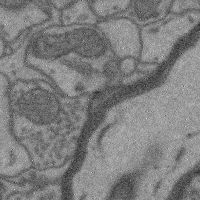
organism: Mouse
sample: Cerebral cortex